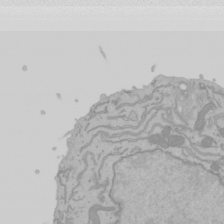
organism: Mouse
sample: Cancer cell death in ED-1 cells